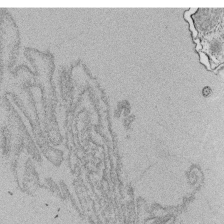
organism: Tetrahymena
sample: Cilia in tetrahymena